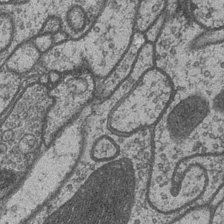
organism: Drosophila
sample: Optic medulla